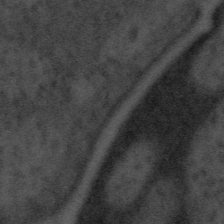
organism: Tuwongella immobilis